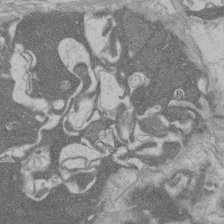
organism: Rat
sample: Salivary granule